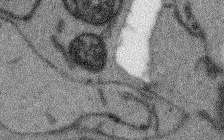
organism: Arabidopsis thaliana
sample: Root tip